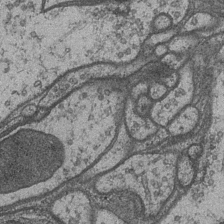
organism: Drosophila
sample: Optic medulla